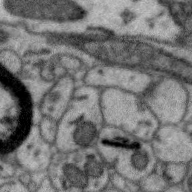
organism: Zebra finch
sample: Brain